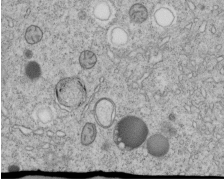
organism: C. elegans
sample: C. elegans embryo early stage